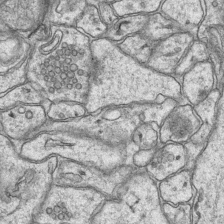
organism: Mouse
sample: CA1 Hippocampus